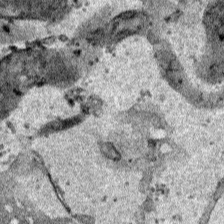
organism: Human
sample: Mitochondria in HCT116 cells